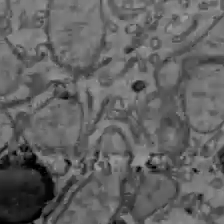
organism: C57BL Mouse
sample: Liver